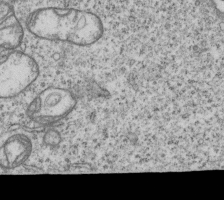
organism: Human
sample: MDA-MB-231 cells